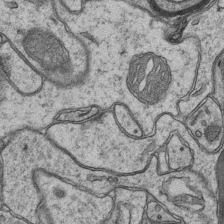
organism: Mouse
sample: CA1 Hippocampus